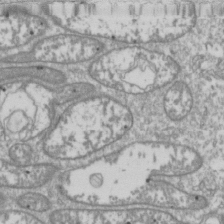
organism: Drosophila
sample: Cell division; meiosis; drosophila spermatocytes